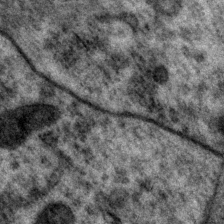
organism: P. pacificus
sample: Pharynx